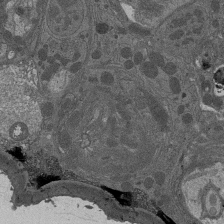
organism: Drosophila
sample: Antenna